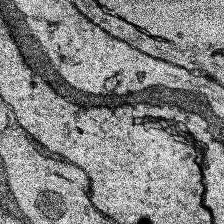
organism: Human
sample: Temporal Lobe